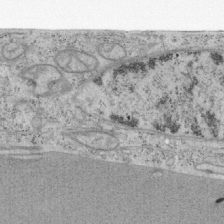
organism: Human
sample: HeLa cells